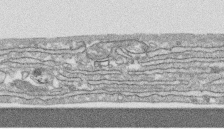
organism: Human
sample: CRL-1474